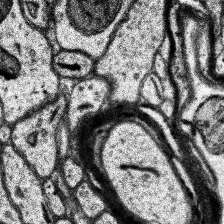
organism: Human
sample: Temporal Lobe